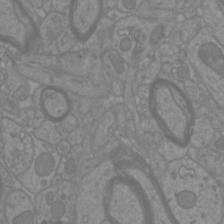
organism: Mouse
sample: Cortical neurons